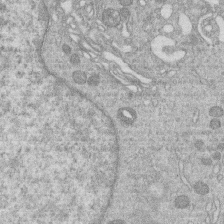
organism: Human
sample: Macrophage cells